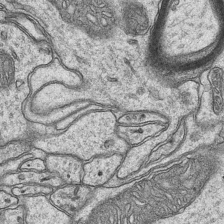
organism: Mouse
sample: CA1 Hippocampus